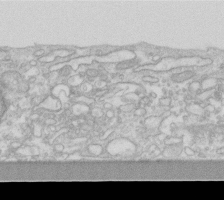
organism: Human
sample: Fibroblast cells